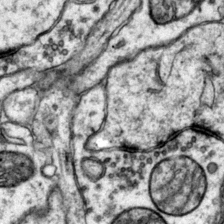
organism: Mouse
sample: Primary visual cortex